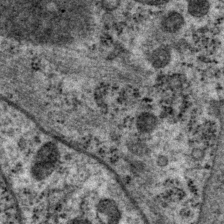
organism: P. pacificus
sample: Pharynx